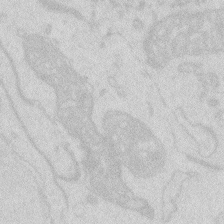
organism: Zebrafish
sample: Macrophage